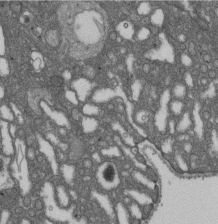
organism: Drosophila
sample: Nephrocyte